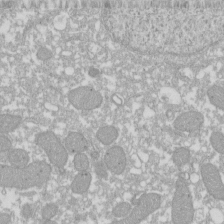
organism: Xenopus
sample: Cilia; centrioles in frog embryo cells